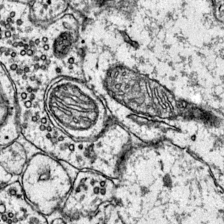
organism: Mouse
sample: Primary visual cortex